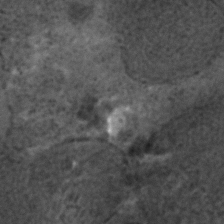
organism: C. elegans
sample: C. elegans embryo